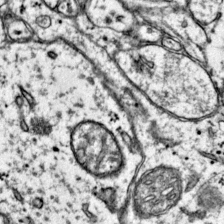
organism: Mouse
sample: Primary visual cortex